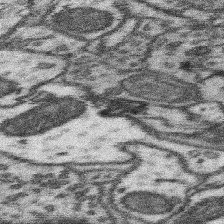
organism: Mouse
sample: Somatosensory cortex neuropil